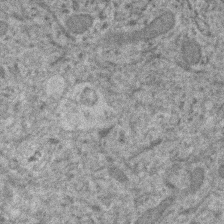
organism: Human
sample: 1205lu cells